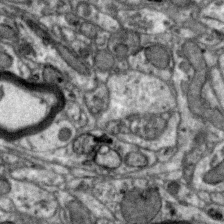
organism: Zebra finch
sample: Brain